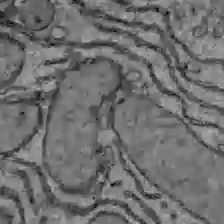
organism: C57BL Mouse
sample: Liver